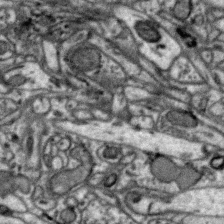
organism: Zebra finch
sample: Brain